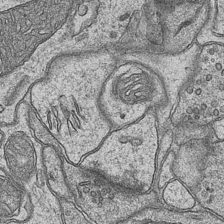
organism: Mouse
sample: CA1 Hippocampus